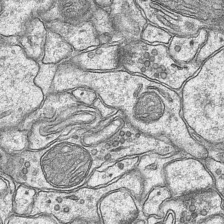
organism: Mouse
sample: CA1 Hippocampus